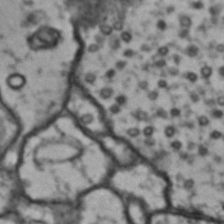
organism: Drosophila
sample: Brain